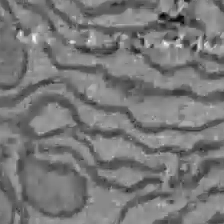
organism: C57BL Mouse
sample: Liver